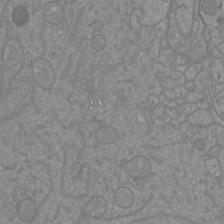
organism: Mouse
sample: Cortical neurons